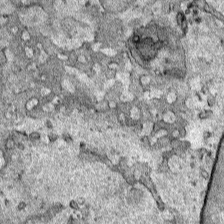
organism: Human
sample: Mitochondria in HCT116 cells